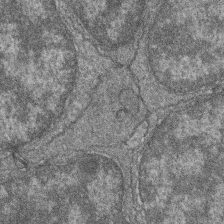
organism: Zebrafish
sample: Cilia; retinal pigment epithelium